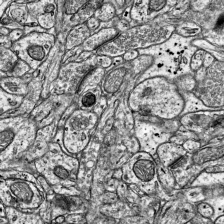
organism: Mouse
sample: Visual Cortex